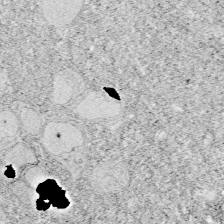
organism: Zebrafish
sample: Whole-Brain